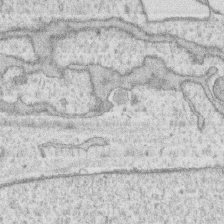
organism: Human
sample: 1205lu cells